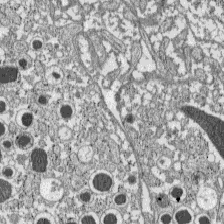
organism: C57BL Mouse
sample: Pancreatic islet